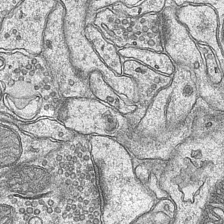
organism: Mouse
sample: CA1 Hippocampus